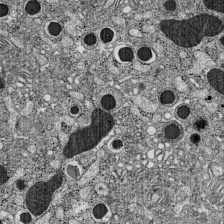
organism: C57BL Mouse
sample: Pancreatic islet